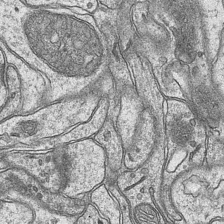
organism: Mouse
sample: CA1 Hippocampus